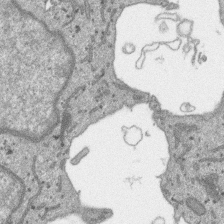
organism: Human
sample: Lung epithelial cells infected with SARS-CoV-2